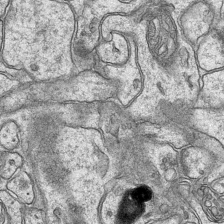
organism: Mouse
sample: CA1 Hippocampus